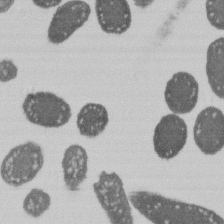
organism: E. coli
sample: Bacterial nucleoid